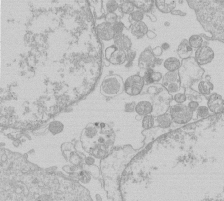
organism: Human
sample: Macrophage cells